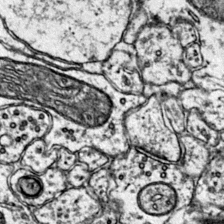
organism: Mouse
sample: Primary visual cortex